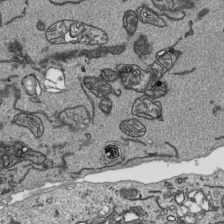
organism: Human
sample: Mitochondria in HCT116 cells